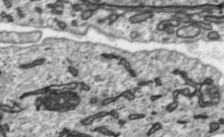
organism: Toxoplasma gondii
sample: Parasites in a vacuole inside a host cell